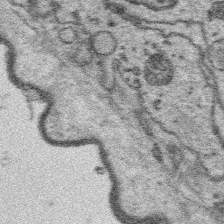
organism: Platynereis dumerilii